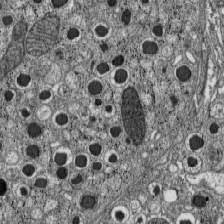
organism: C57BL Mouse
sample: Pancreatic islet